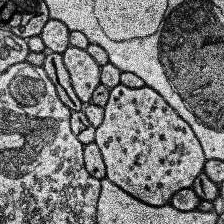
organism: Human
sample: Temporal Lobe